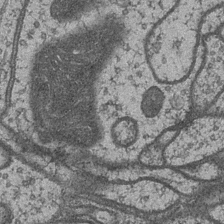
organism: Drosophila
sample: Optic medulla